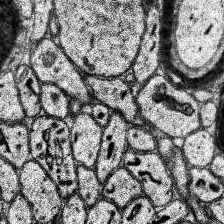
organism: Human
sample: Temporal Lobe